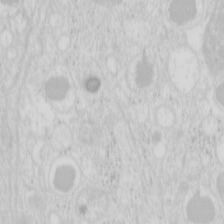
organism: Mouse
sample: Pancreas